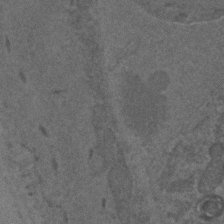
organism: C. elegans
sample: C. elegans embryo